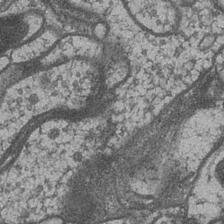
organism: Drosophila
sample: Optic medulla